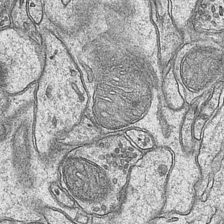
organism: Mouse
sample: CA1 Hippocampus